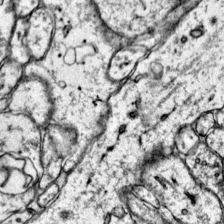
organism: Mouse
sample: Primary visual cortex